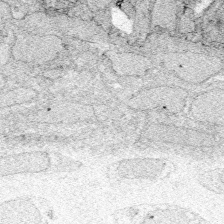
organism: Zebrafish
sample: Whole-Brain